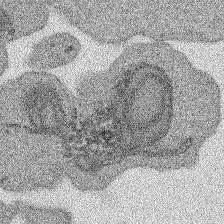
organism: Human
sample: HeLa cells